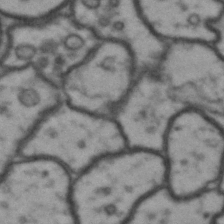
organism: Drosophila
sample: Brain